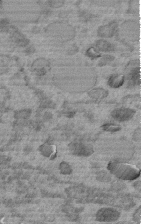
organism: C. elegans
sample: C. elegans embryo early stage